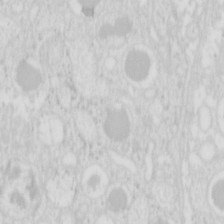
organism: Mouse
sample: Pancreas